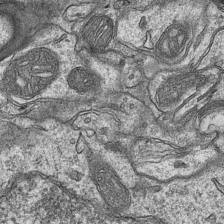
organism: Mouse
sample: CA1 Hippocampus